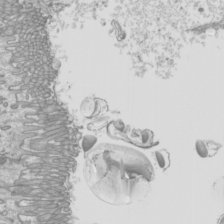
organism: Mouse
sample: Cilia; mouse epididymis